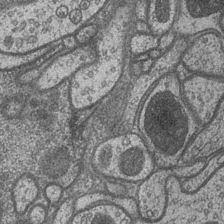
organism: Drosophila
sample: Optic medulla